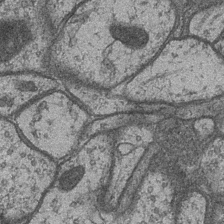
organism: Drosophila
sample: Optic medulla